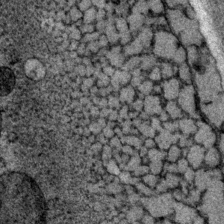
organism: P. pacificus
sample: Pharynx